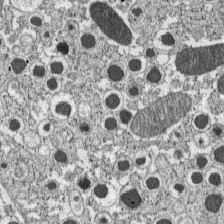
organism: C57BL Mouse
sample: Pancreatic islet